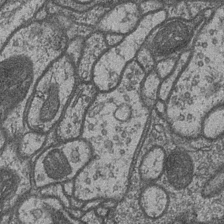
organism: Drosophila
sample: Optic medulla